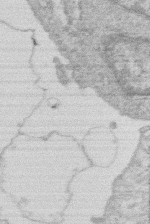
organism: Human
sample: Macrophage cells